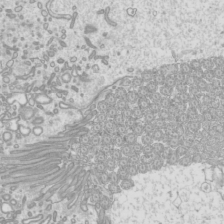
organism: Mouse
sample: Cilia; mouse epididymis